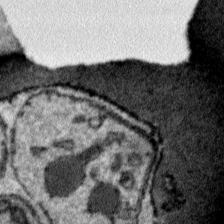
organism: Plasmodium falciparum